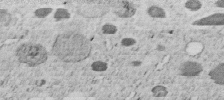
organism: C. elegans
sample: C. elegans embryo early stage